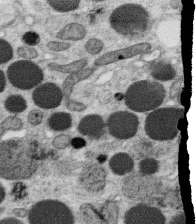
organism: C. elegans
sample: C. elegans oocyte; sperm cells